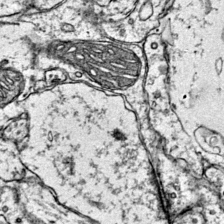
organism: Mouse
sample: Primary visual cortex